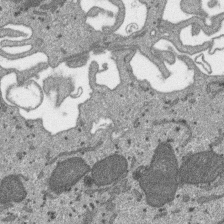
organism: Human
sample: Lung epithelial cells infected with SARS-CoV-2